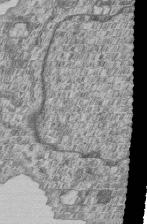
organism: Human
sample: MDA-MB-231 cells